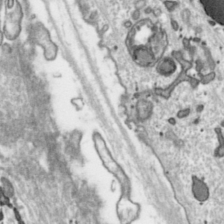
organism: Toxoplasma gondii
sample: Parasites in a vacuole inside a host cell